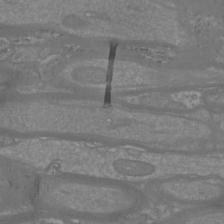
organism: Mouse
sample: Cortical neurons